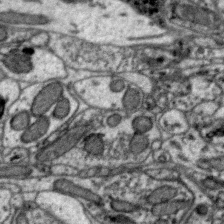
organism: Zebra finch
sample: Brain